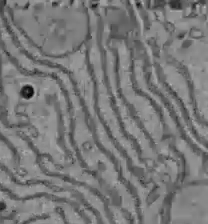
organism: C57BL Mouse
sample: Liver